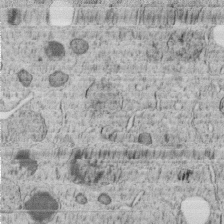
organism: C. elegans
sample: C. elegans embryo early stage